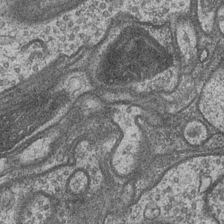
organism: Drosophila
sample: Optic medulla